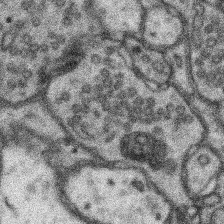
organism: Mouse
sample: Somatosensory cortex neuropil